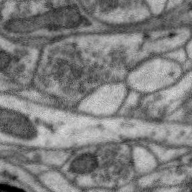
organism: Zebra finch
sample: Brain